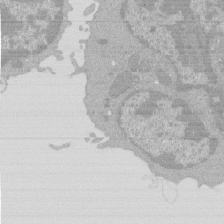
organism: Mouse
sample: Activated Pmel transgenic CD8+ T Cells